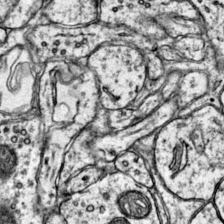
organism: Mouse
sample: Primary visual cortex